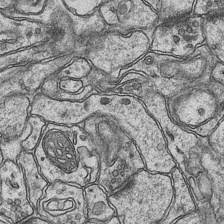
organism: Mouse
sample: CA1 Hippocampus